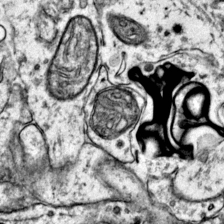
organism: Mouse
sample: Primary visual cortex